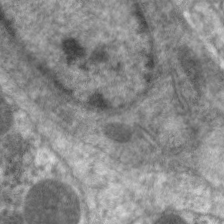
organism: C. elegans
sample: Pharynx